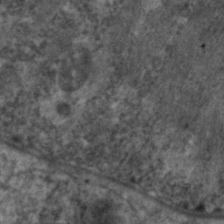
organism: C. elegans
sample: Pharynx